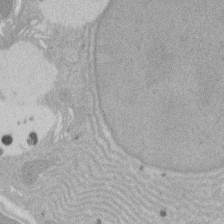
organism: Rat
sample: Salivary granule